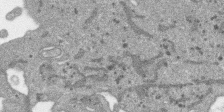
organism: Human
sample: Lung epithelial cells infected with SARS-CoV-2